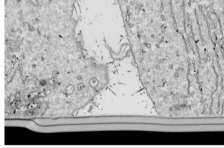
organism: Drosophila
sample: Cell division; meiosis; drosophila spermatocytes